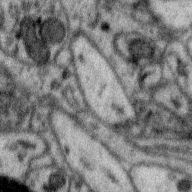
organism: Zebra finch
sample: Brain